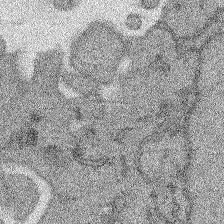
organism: Human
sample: HeLa cells